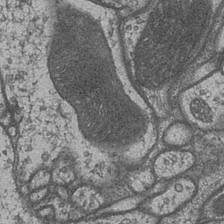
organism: Drosophila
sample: Optic medulla